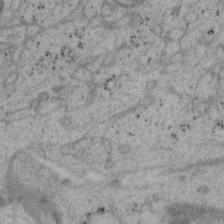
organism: Human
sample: HeLa cells